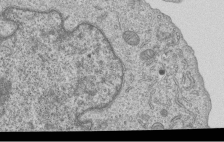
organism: Human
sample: MDA-MB-231 cells